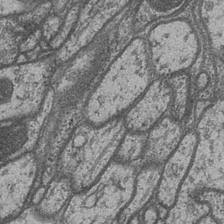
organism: Drosophila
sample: Optic medulla